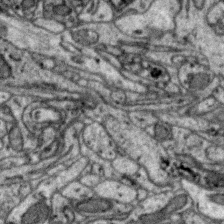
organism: Zebra finch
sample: Brain